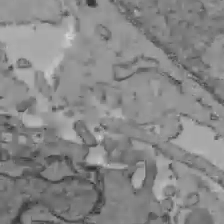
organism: C57BL Mouse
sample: Liver